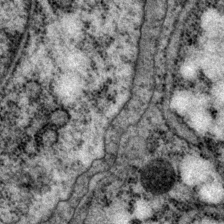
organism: P. pacificus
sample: Pharynx